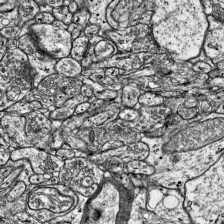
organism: Mouse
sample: Visual Cortex